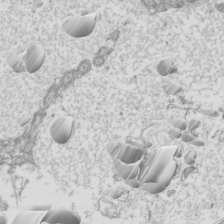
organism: Mouse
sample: Cilia; mouse epididymis